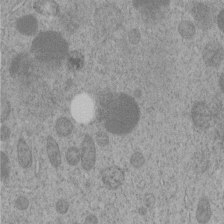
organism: C. elegans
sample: C. elegans embryo early stage